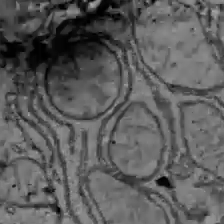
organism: C57BL Mouse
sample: Liver